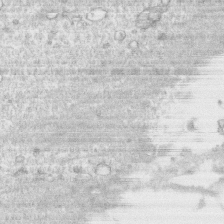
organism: Human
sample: CRL-1474